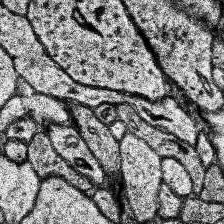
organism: Human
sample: Temporal Lobe